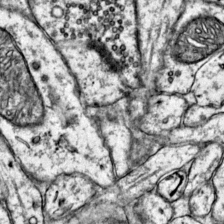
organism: Mouse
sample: Primary visual cortex